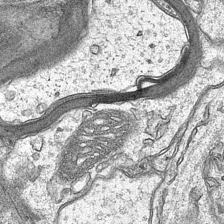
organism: Mouse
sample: CA1 Hippocampus